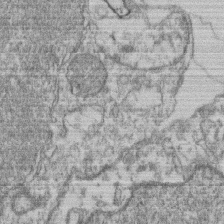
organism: Mouse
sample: T cell stromal cell synapse